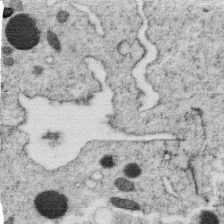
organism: C. elegans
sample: C. elegans oocyte; sperm cells